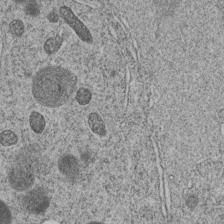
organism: C. elegans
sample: C. elegans embryo early stage